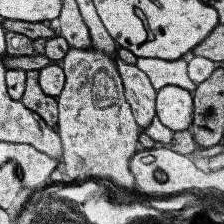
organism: Human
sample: Temporal Lobe